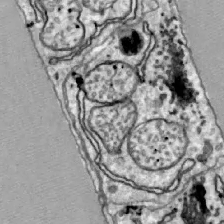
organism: Zebrafish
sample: Actinotrichia fibers